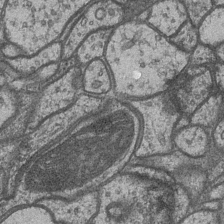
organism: Drosophila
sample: Optic medulla